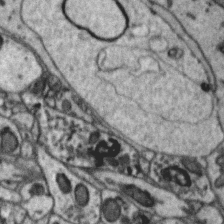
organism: Zebra finch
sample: Brain